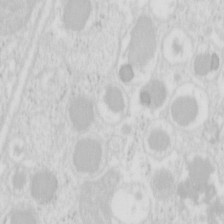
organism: Mouse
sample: Pancreas